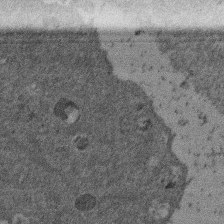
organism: Mouse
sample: Dividing mouse embryo 1 cell stage